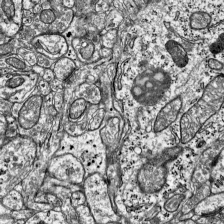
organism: Mouse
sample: Visual Cortex